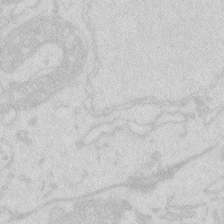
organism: Zebrafish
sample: Macrophage